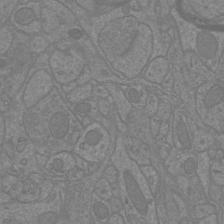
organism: Mouse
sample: Cortical neurons